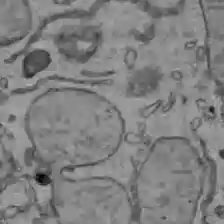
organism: C57BL Mouse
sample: Liver